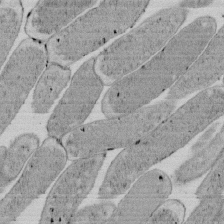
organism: E. coli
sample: Bacterial nucleoid